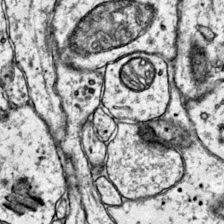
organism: Mouse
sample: Primary visual cortex